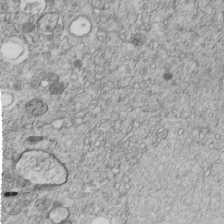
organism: C. elegans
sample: C. elegans embryo early stage